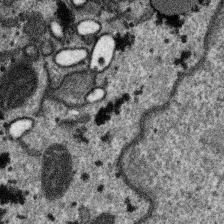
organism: Human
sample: Lung epithelial cells infected with SARS-CoV-2